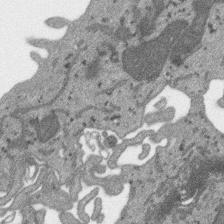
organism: Human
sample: Lung epithelial cells infected with SARS-CoV-2